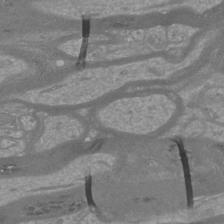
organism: Mouse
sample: Cortical neurons